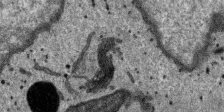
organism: Human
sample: Lung epithelial cells, uninfected (mock) control